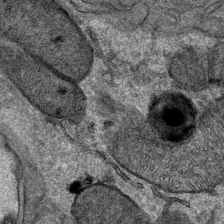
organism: Mouse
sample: Mouse Salivary gland